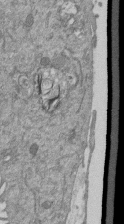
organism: Mouse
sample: ED-1 cell nuclei; centrioles